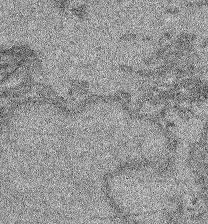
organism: Human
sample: HeLa cells